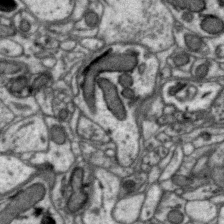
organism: Zebra finch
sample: Brain